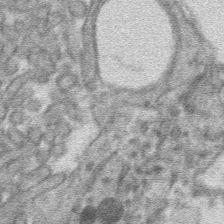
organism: Mouse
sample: Mouse hepatocytes